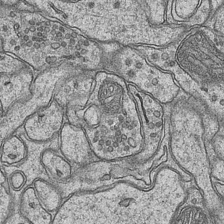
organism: Mouse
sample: CA1 Hippocampus